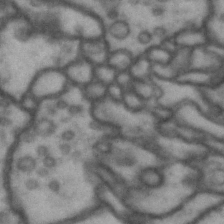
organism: Drosophila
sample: Brain